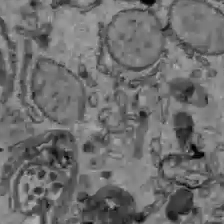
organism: C57BL Mouse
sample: Liver